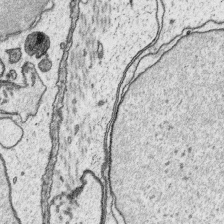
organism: Platynereis dumerilii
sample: Parapodia